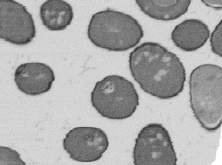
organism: B. subtilis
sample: Bacterial spore